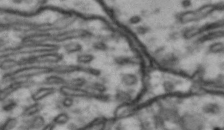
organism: Drosophila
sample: Brain